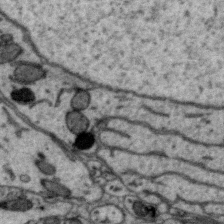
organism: Zebra finch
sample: Brain